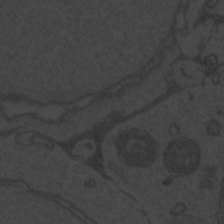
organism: Zebrafish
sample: Macrophage infected with Toxoplasma gondii